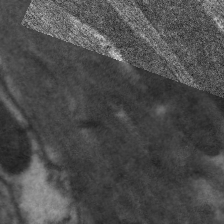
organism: C. elegans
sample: Pharynx